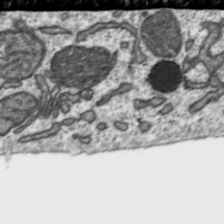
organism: Toxoplasma gondii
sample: Parasites in a vacuole inside a host cell